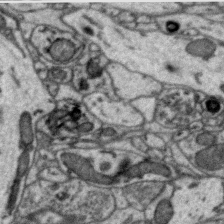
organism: Zebra finch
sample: Brain